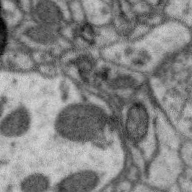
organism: Zebra finch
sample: Brain